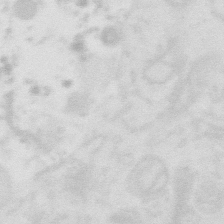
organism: Human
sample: HeLa cells